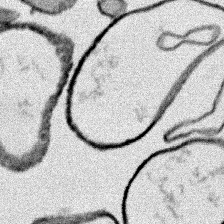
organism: Human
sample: Mitochondria in HCT116 cells